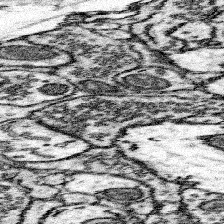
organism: Mouse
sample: Somatosensory cortex neuropil